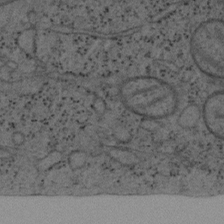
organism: Human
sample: HeLa cells